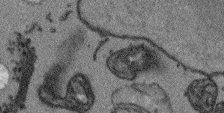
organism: Arabidopsis thaliana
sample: Root tip